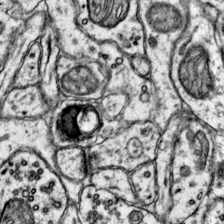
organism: Mouse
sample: Primary visual cortex